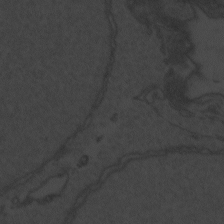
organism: Zebrafish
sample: Macrophage infected with Toxoplasma gondii